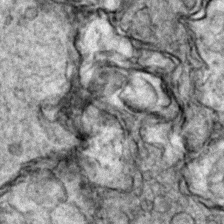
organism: Zebrafish